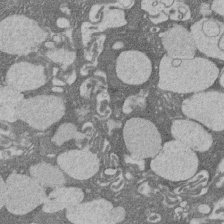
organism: Rat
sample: Salivary granule